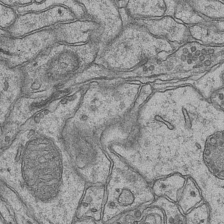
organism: Mouse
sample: CA1 Hippocampus